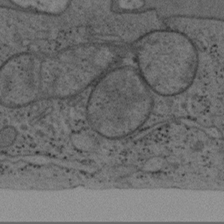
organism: Human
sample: HeLa cells